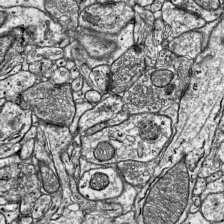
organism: Mouse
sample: Visual Cortex